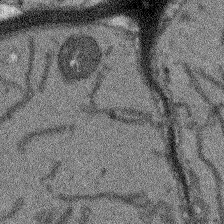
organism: Arabidopsis thaliana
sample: Root tip